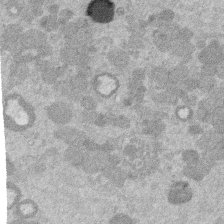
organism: Mouse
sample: Dividing mouse embryo 1 cell stage